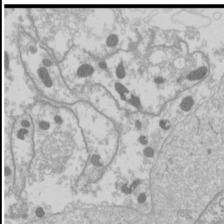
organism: Drosophila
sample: Cell division; meiosis; drosophila spermatocytes